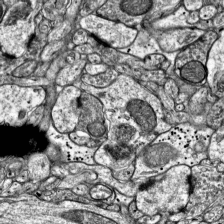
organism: Mouse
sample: Visual Cortex